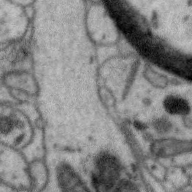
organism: Zebra finch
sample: Brain